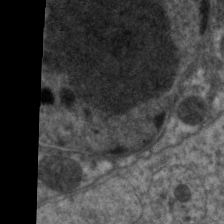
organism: C. elegans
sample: Pharynx